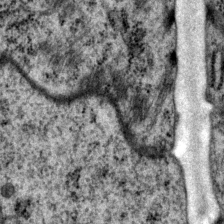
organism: P. pacificus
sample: Pharynx